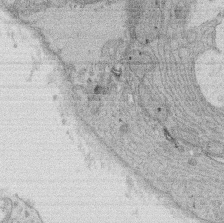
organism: Rat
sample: Salivary granule